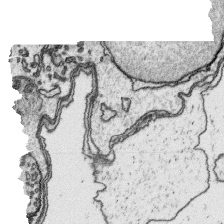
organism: Platynereis dumerilii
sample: Parapodia